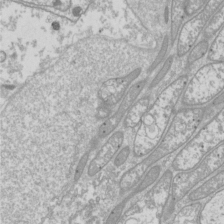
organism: Drosophila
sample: Cell division; meiosis; drosophila spermatocytes